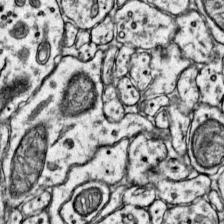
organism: Mouse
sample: Primary visual cortex